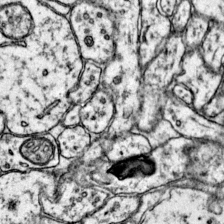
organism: Mouse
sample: Primary visual cortex